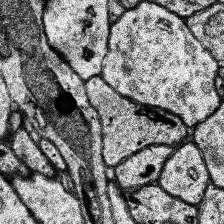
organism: Human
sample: Temporal Lobe